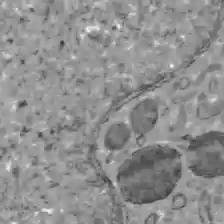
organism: C57BL Mouse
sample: Liver